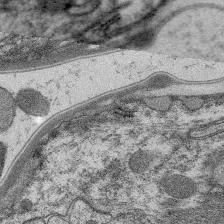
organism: C. elegans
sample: Pharynx